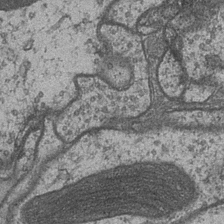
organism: Drosophila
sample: Optic medulla